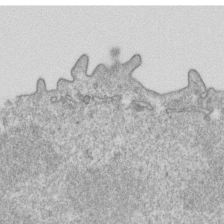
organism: Mouse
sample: Activated OT-1 CD8+ T cells